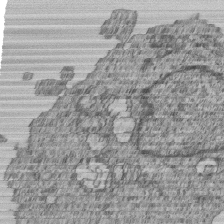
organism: Human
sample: MDA-MB-231 cells